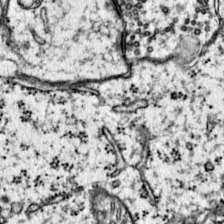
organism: Mouse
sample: Primary visual cortex